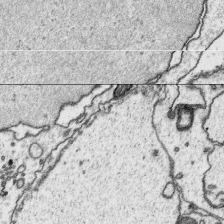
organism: Platynereis dumerilii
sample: Parapodia